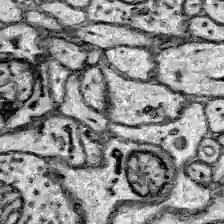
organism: Zebrafish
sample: Brain